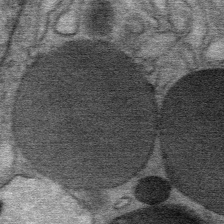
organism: Mouse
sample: Mouse Salivary gland